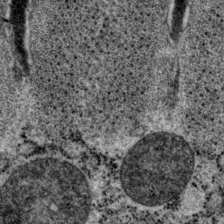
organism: P. pacificus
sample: Pharynx